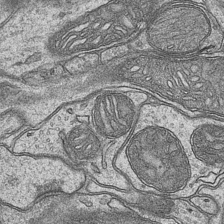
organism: Mouse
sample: CA1 Hippocampus